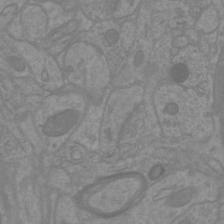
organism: Mouse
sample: Cortical neurons